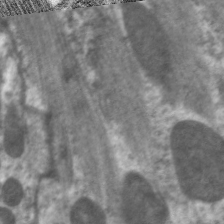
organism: C. elegans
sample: Pharynx